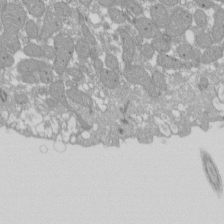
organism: Xenopus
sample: Cilia; centrioles in frog embryo cells